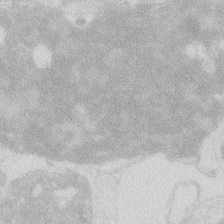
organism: Zebrafish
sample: Macrophage